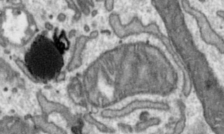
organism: Toxoplasma gondii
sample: Parasites in a vacuole inside a host cell